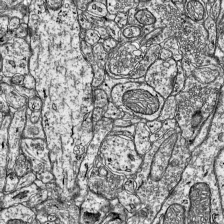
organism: Mouse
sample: Visual Cortex